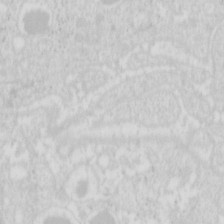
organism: Mouse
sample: Pancreas